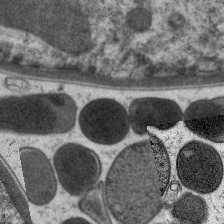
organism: C. elegans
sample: Pharynx